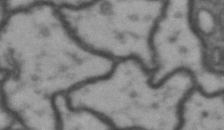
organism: Drosophila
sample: Brain